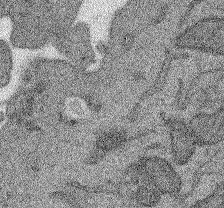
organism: Human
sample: HeLa cells